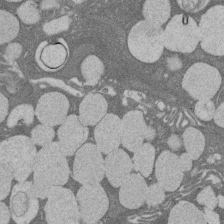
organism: Rat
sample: Salivary granule